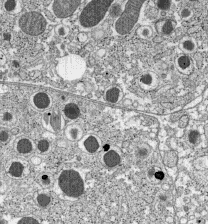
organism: C57BL Mouse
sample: Pancreatic islet